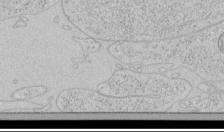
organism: Human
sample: Mitochondria in HCT116 cells